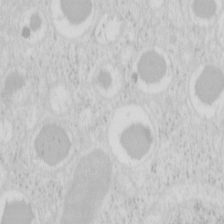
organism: Mouse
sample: Pancreas